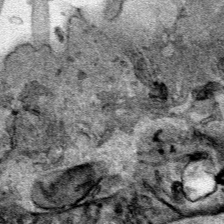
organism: Human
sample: Mitochondria in HCT116 cells